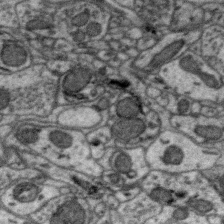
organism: Zebra finch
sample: Brain